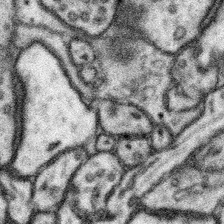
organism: Mouse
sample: Somatosensory cortex neuropil